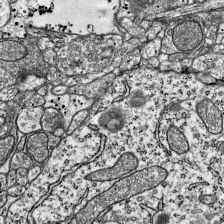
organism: Mouse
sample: Visual Cortex